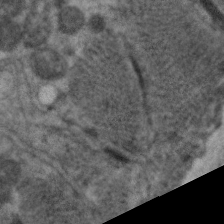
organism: C. elegans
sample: Pharynx